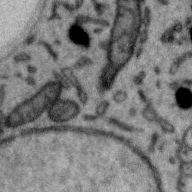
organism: Zebra finch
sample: Brain